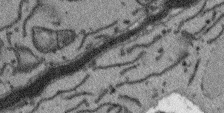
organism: Arabidopsis thaliana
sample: Root tip